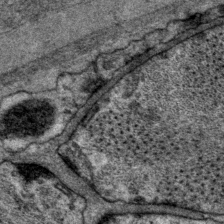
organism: P. pacificus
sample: Pharynx